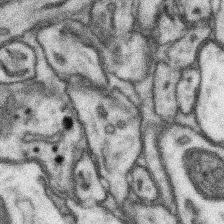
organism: Mouse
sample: Somatosensory cortex neuropil